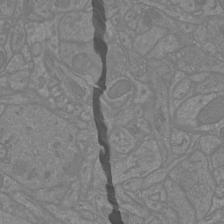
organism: Mouse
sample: Cortical neurons